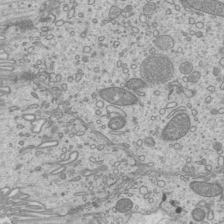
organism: Mouse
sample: Cilia; mouse epididymis